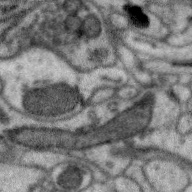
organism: Zebra finch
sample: Brain